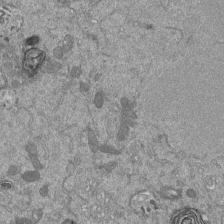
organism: Mouse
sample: ED-1 cell nuclei; centrioles